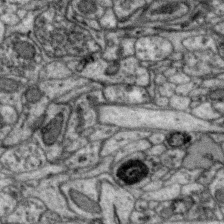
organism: Zebra finch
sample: Brain